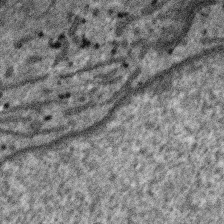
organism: Human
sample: Lung epithelial cells infected with SARS-CoV-2